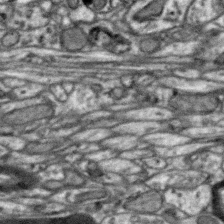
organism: Zebra finch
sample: Brain